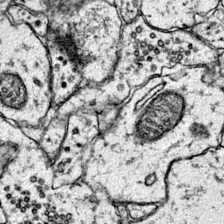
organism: Mouse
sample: Primary visual cortex